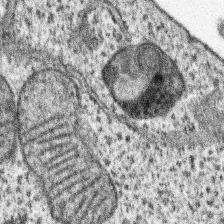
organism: Human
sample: HeLa cells